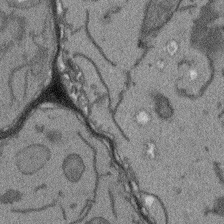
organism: Arabidopsis thaliana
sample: Root tip